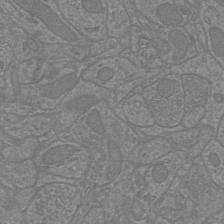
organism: Mouse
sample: Cortical neurons